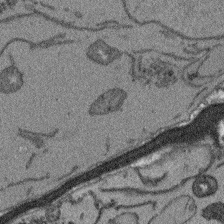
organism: Arabidopsis thaliana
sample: Root tip